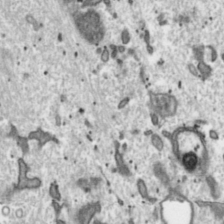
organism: Toxoplasma gondii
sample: Parasites in a vacuole inside a host cell